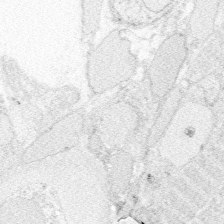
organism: Zebrafish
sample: Whole-Brain